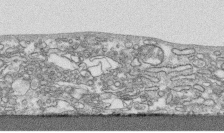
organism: Human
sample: CRL-1474